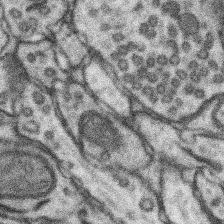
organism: Mouse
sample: Somatosensory cortex neuropil